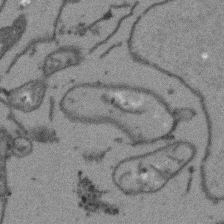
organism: Arabidopsis thaliana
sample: Root tip